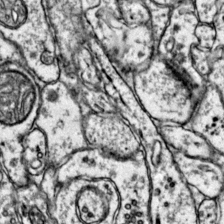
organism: Mouse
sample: Primary visual cortex